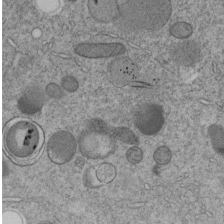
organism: C. elegans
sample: C. elegans embryo early stage